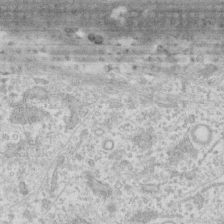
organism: Human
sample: Fibroblast cells